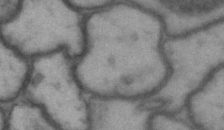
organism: Drosophila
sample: Brain